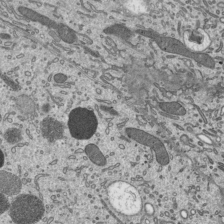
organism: Mouse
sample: Mouse epididymis efferent ductule cilia